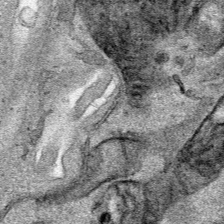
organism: Human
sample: Mitochondria in HCT116 cells